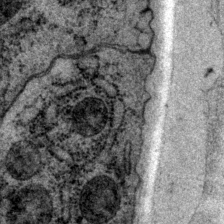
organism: P. pacificus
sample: Pharynx